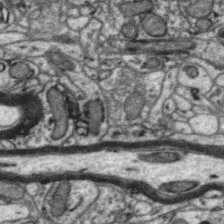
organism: Zebra finch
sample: Brain